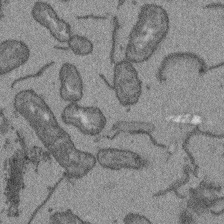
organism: Arabidopsis thaliana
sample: Root tip